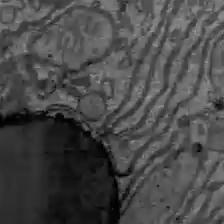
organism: C57BL Mouse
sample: Liver